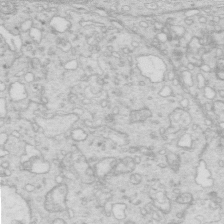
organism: Mouse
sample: Multiciliated cells